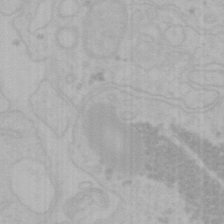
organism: Mouse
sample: Choroid plexus